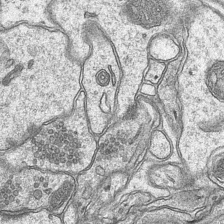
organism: Mouse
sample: CA1 Hippocampus